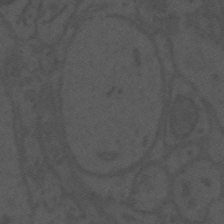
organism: Mouse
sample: Suprachiasmatic nucleus